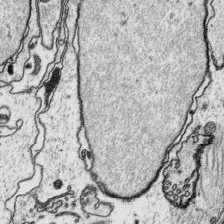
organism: Platynereis dumerilii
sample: Parapodia